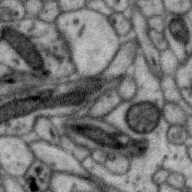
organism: Zebra finch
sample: Brain